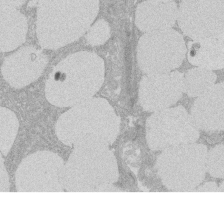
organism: Rat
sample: Salivary granule